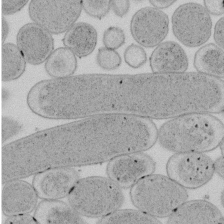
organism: E. coli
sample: Bacterial nucleoid